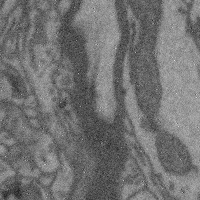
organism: Mouse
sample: Cerebral cortex